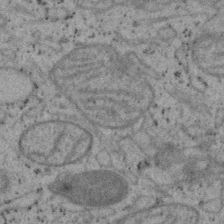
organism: Human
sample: HeLa cells